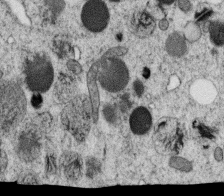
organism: C. elegans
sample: C. elegans oocyte; sperm cells